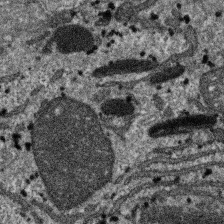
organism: Human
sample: Lung epithelial cells infected with SARS-CoV-2